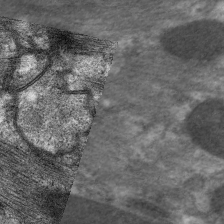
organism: C. elegans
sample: Pharynx